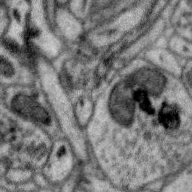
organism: Zebra finch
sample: Brain